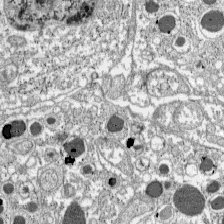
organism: C57BL Mouse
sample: Pancreatic islet